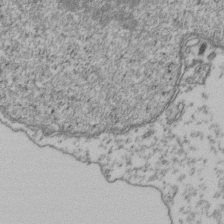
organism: Human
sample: Activated Jurkat CD4+ T cells